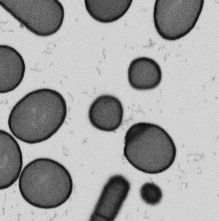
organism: B. subtilis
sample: Bacterial spore